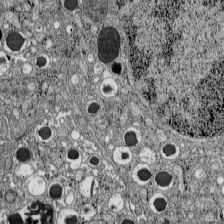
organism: C57BL Mouse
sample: Pancreatic islet